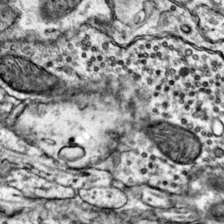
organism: Mouse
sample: Primary visual cortex